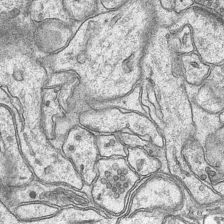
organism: Mouse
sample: CA1 Hippocampus